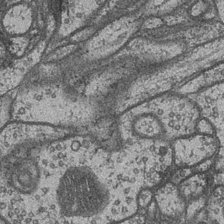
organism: Drosophila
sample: Optic medulla